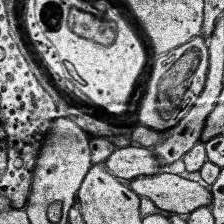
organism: Human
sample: Temporal Lobe